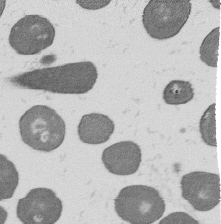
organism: B. subtilis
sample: Bacterial spore